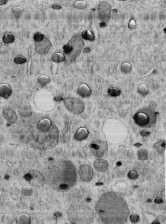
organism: C. elegans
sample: C. elegans embryo early stage